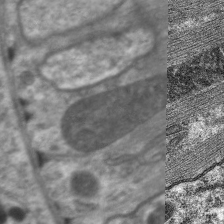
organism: C. elegans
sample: Pharynx